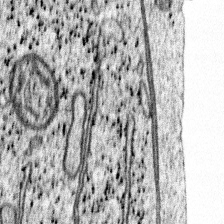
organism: Human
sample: HeLa cells